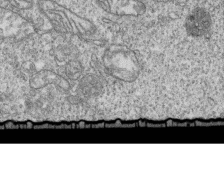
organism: Human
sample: HeLa cell HIV synapse